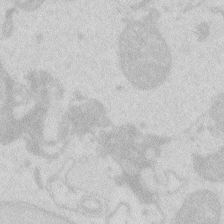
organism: Zebrafish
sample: Macrophage